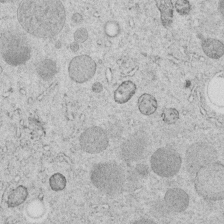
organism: C. elegans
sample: C. elegans embryo early stage